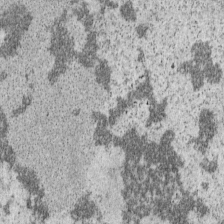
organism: Mouse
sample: OT-I killer T cells with ID8 ovarian cancer cells